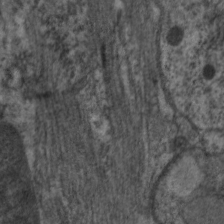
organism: C. elegans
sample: Pharynx